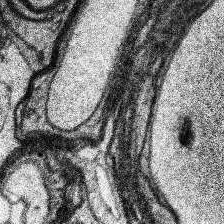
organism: Human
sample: Temporal Lobe